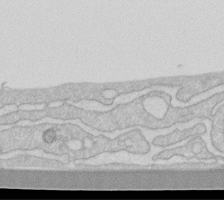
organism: Human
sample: Fibroblast cells